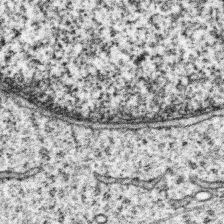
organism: Human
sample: HeLa cells